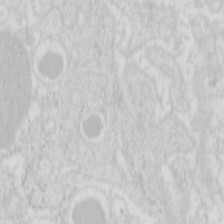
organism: Mouse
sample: Pancreas